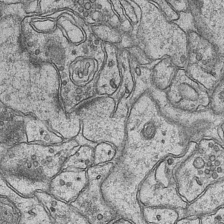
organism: Mouse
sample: CA1 Hippocampus